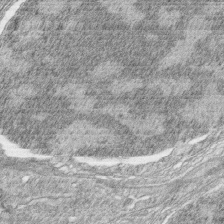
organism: Zebrafish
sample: synaptic ribbons in rod cells and cone cells